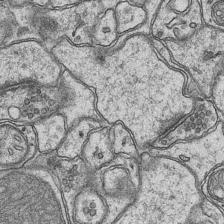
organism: Mouse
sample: CA1 Hippocampus